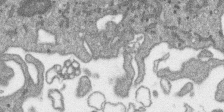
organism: Human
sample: Lung epithelial cells infected with SARS-CoV-2